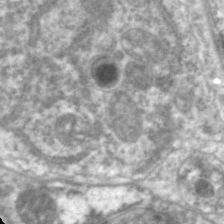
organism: C. elegans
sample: Pharynx